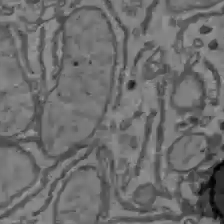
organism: C57BL Mouse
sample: Liver